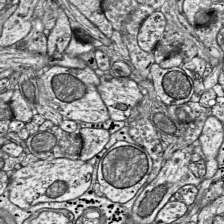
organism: Mouse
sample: Visual Cortex